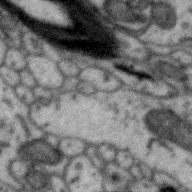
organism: Zebra finch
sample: Brain